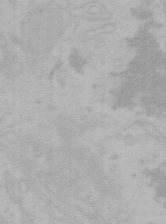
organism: Mouse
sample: Choroid plexus